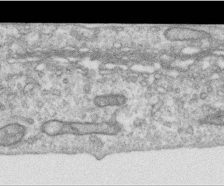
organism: Human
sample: Centriole in RPE cells